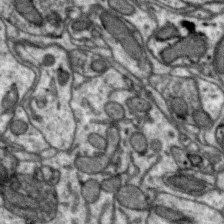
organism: Zebra finch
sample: Brain